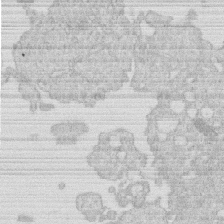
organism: Human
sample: Macrophage cells